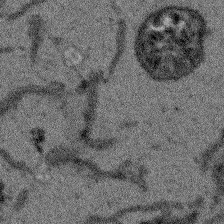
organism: Arabidopsis thaliana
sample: Root tip